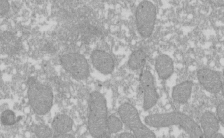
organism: Xenopus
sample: Cilia; centrioles in frog embryo cells